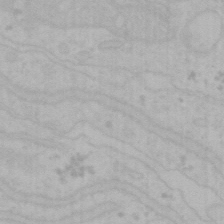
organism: Mouse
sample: Choroid plexus